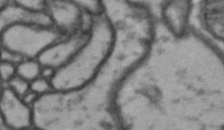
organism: Drosophila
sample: Brain